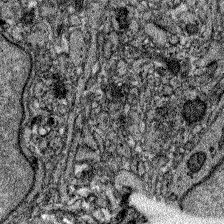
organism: Zebrafish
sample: Larval olfactory bulb